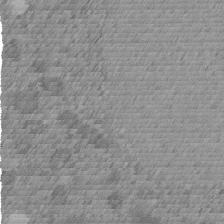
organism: C. elegans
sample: C. elegans embryo early stage